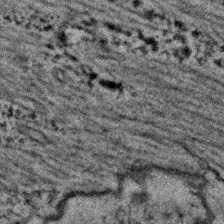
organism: C. elegans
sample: C. elegans embryo